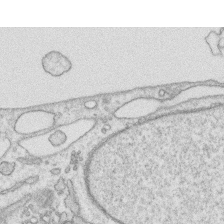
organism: Human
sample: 1205lu cells